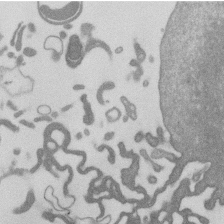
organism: Mouse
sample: Dividing mouse embryo 1 cell stage